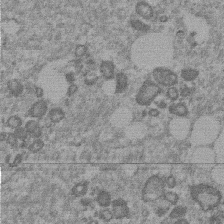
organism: Mouse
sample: Dividing mouse embryo 1 cell stage